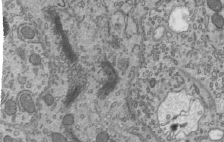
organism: Mouse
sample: Mouse epididymis efferent ductule cilia